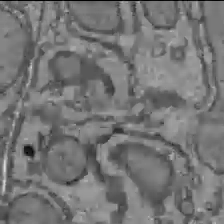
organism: C57BL Mouse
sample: Liver